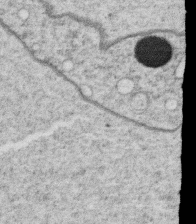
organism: C. elegans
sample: C. elegans oocyte; sperm cells